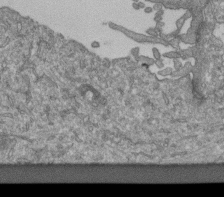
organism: Human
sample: Retinal organoid Rod and Cone cells